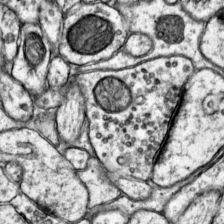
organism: Mouse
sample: Primary visual cortex